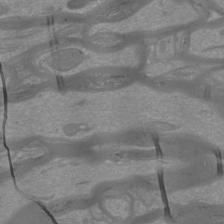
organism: Mouse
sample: Cortical neurons